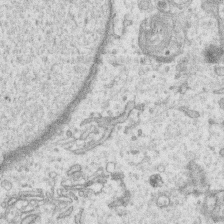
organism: Human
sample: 1205lu cells